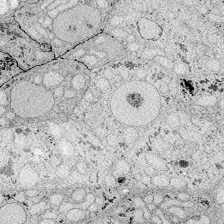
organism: Zebrafish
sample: Whole-Brain